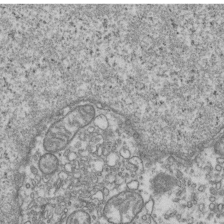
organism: Human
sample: Activated Jurkat CD4+ T cells